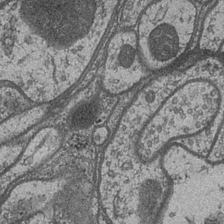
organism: Drosophila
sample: Optic medulla